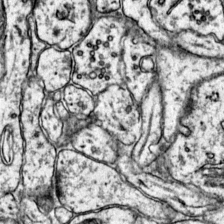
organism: Mouse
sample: Primary visual cortex